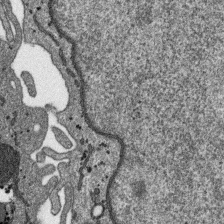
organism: Human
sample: Lung epithelial cells infected with SARS-CoV-2